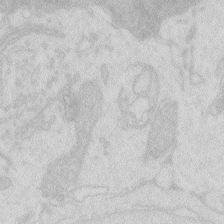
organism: Zebrafish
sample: Macrophage